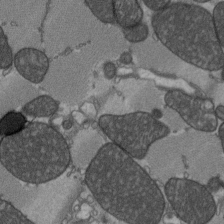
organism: C57BL Mouse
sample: Heart